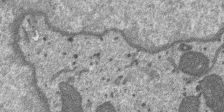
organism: Human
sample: Lung epithelial cells infected with SARS-CoV-2